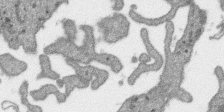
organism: Human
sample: Lung epithelial cells infected with SARS-CoV-2